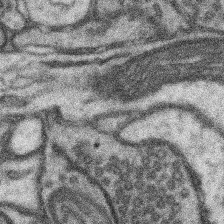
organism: Mouse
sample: Somatosensory cortex neuropil